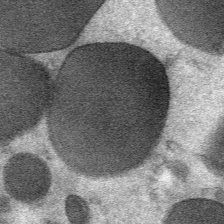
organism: Mouse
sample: Mouse Salivary gland